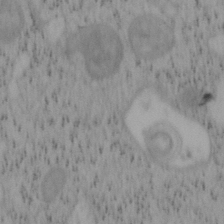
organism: Mouse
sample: OT-I killer T cells with ID8 ovarian cancer cells